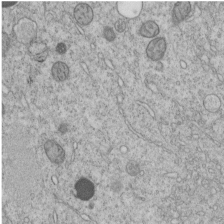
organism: C. elegans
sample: C. elegans embryo early stage